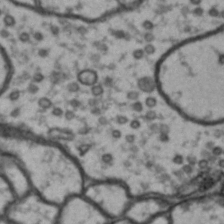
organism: Drosophila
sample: Brain